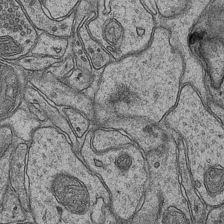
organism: Mouse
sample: CA1 Hippocampus